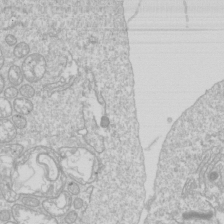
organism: Drosophila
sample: Cell division; meiosis; drosophila spermatocytes